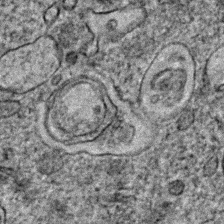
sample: Trachea